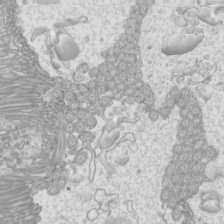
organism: Mouse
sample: Cilia; mouse epididymis